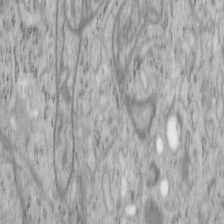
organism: Human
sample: HeLa cells